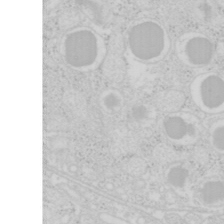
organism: Mouse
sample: Pancreas